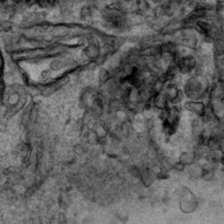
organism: Human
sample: Mitochondria in HCT116 cells